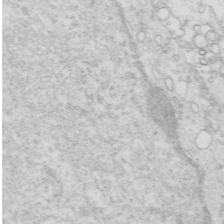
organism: Mouse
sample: Multiciliated cells